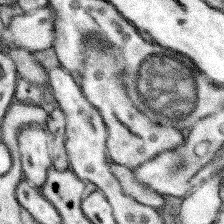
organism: Mouse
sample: Somatosensory cortex neuropil